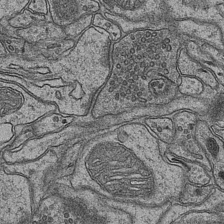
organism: Mouse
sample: CA1 Hippocampus